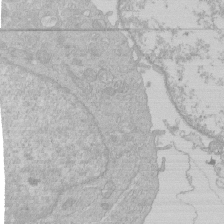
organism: Human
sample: Macrophage cells